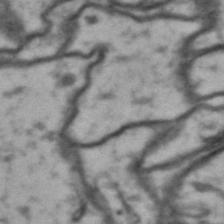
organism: Drosophila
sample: Brain